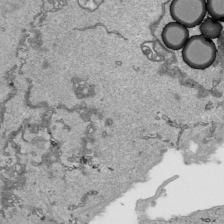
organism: Human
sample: Mitochondria in HCT116 cells